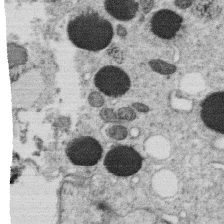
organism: C. elegans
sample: C. elegans oocyte; sperm cells